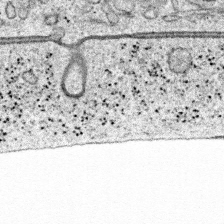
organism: Human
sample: HeLa cells